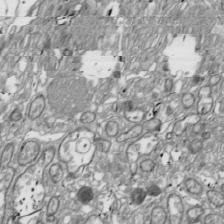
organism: Drosophila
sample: Cell division; meiosis; drosophila spermatocytes